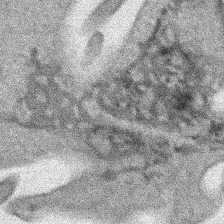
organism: Human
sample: Mitochondria in HCT116 cells